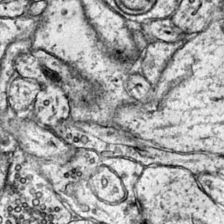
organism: Mouse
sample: Primary visual cortex